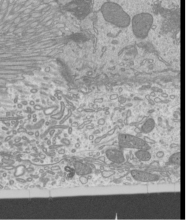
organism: Mouse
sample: Cilia; mouse epididymis